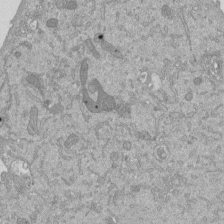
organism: Mouse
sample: ED-1 cell nuclei; centrioles